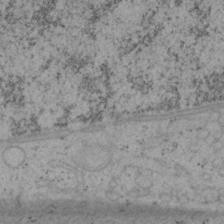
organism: Human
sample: HeLa cells